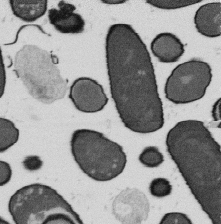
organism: B. subtilis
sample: Bacterial spore